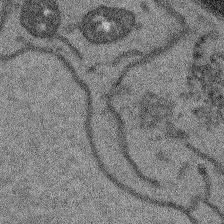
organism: Arabidopsis thaliana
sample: Root tip